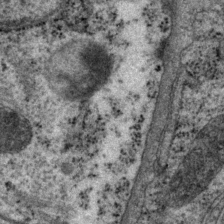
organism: P. pacificus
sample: Pharynx